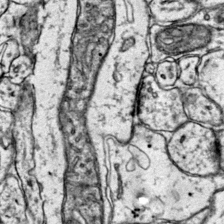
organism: Mouse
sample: Primary visual cortex